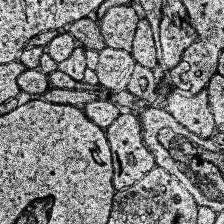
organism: Human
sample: Temporal Lobe